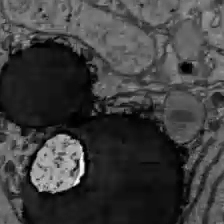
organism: C57BL Mouse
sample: Liver